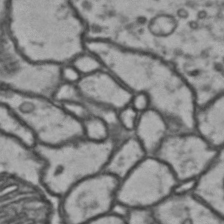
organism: Drosophila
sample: Brain